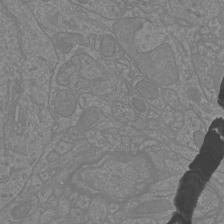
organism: Mouse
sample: Cortical neurons